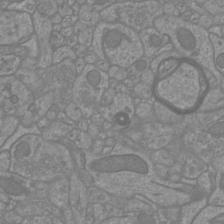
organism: Mouse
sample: Cortical neurons